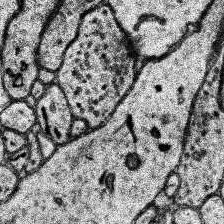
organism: Human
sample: Temporal Lobe